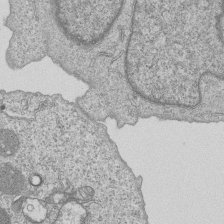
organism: Human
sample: MDA-MB-231 cells